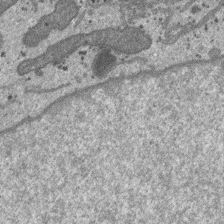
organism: Human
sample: Lung epithelial cells infected with SARS-CoV-2